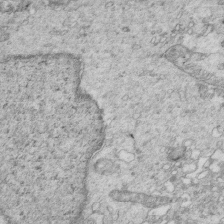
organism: Mouse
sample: Multiciliated cells